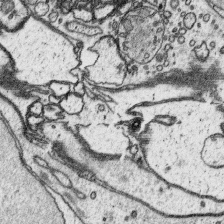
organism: Platynereis dumerilii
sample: Parapodia